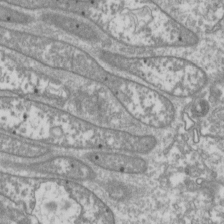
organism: Drosophila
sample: Cell division; meiosis; drosophila spermatocytes